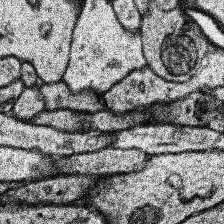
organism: Human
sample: Temporal Lobe